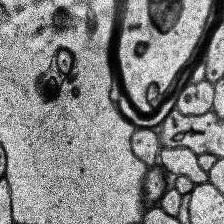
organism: Human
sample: Temporal Lobe